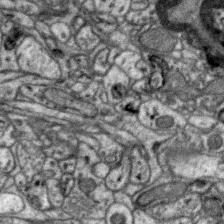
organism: Zebra finch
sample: Brain